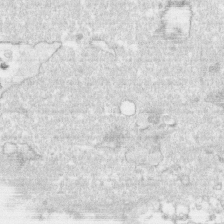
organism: Human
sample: CRL-1474